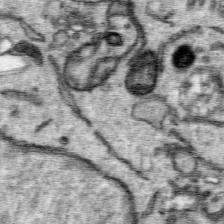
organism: Human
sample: HeLa cells